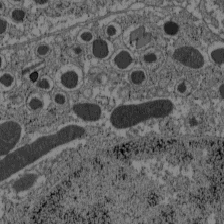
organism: C57BL Mouse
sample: Pancreatic islet